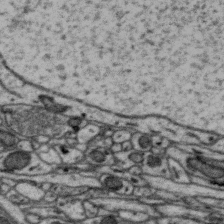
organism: Zebra finch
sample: Brain